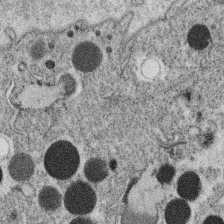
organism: C. elegans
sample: C. elegans oocyte; sperm cells